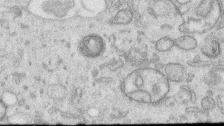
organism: Human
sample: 1205lu cells